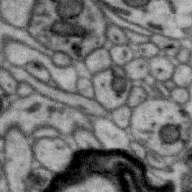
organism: Zebra finch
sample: Brain